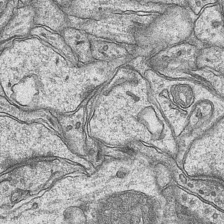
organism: Mouse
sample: CA1 Hippocampus